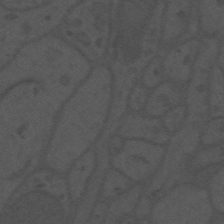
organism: Mouse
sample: Suprachiasmatic nucleus